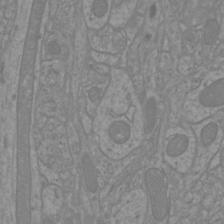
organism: Mouse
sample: Cortical neurons